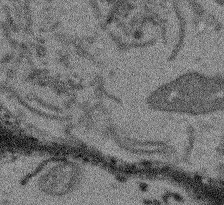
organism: Arabidopsis thaliana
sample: Root tip